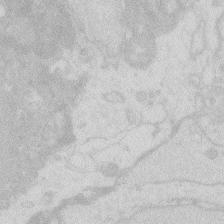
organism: Zebrafish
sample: Macrophage